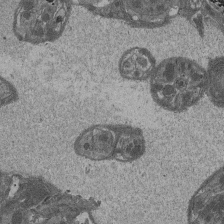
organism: Drosophila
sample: Antenna